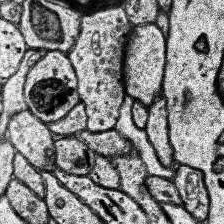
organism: Human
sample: Temporal Lobe